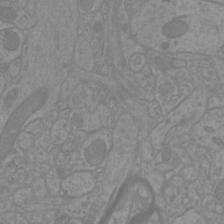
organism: Mouse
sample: Cortical neurons